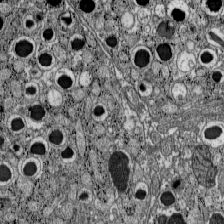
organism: C57BL Mouse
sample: Pancreatic islet